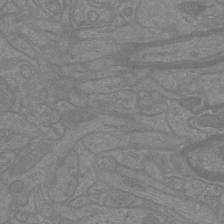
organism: Mouse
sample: Cortical neurons